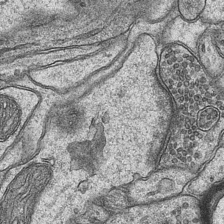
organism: Mouse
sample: CA1 Hippocampus